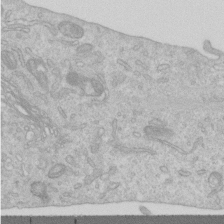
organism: Human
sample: Centriole in RPE cells